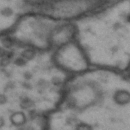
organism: Drosophila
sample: Brain